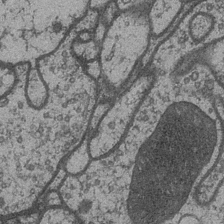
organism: Drosophila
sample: Optic medulla